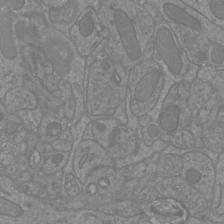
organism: Mouse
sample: Cortical neurons